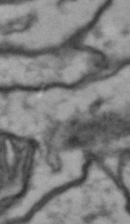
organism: Drosophila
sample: Brain